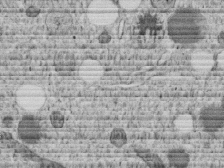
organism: C. elegans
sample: C. elegans embryo early stage